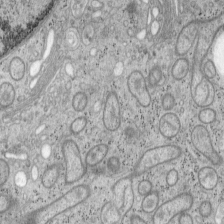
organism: Mouse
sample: OT-I killer T cells with ID8 ovarian cancer cells